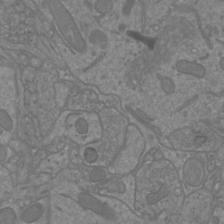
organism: Mouse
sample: Cortical neurons